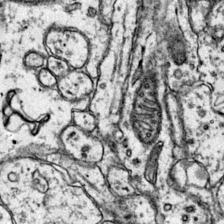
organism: Mouse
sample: Primary visual cortex